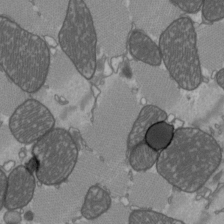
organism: C57BL Mouse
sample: Heart